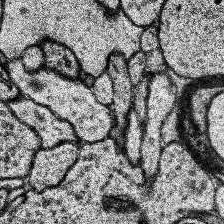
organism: Human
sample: Temporal Lobe